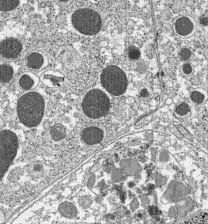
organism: C57BL Mouse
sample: Pancreatic islet